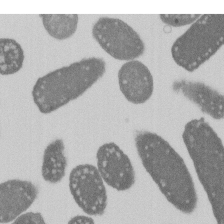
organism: E. coli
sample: Bacterial nucleoid